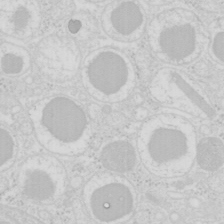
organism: Mouse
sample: Pancreas